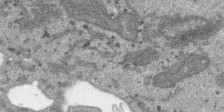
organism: Human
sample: Lung epithelial cells infected with SARS-CoV-2